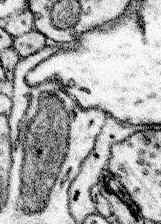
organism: Mouse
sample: Somatosensory cortex neuropil